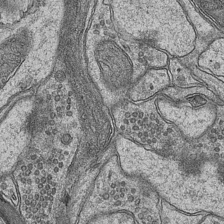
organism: Mouse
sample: CA1 Hippocampus